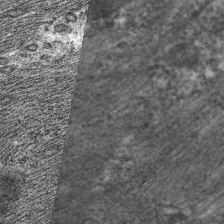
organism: C. elegans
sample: Pharynx